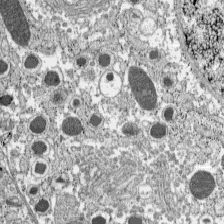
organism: C57BL Mouse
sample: Pancreatic islet